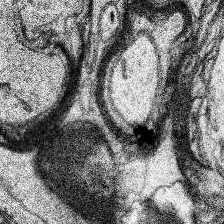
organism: Human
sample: Temporal Lobe